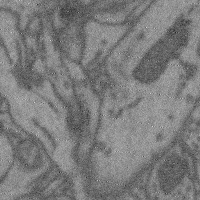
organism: Mouse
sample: Cerebral cortex